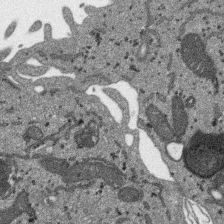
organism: Human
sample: Lung epithelial cells infected with SARS-CoV-2